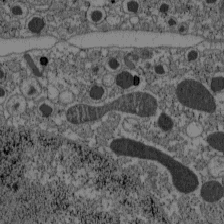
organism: C57BL Mouse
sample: Pancreatic islet